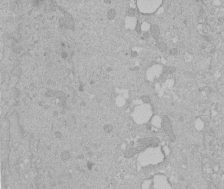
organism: Human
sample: Melanocyte Keratinocyte synapse skin construct